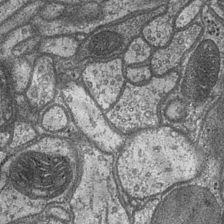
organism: Drosophila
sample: Optic medulla